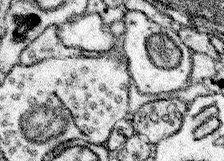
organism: Mouse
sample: Somatosensory cortex neuropil